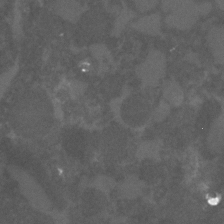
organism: C. elegans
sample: C. elegans embryo